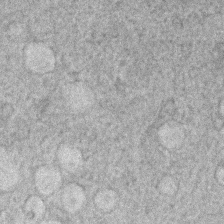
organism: Human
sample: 1205lu cells